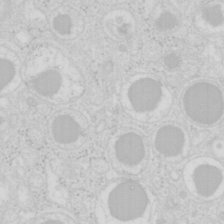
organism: Mouse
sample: Pancreas